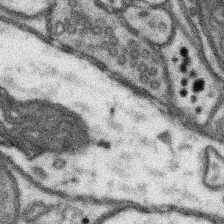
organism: Mouse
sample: Somatosensory cortex neuropil